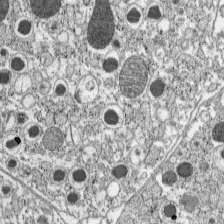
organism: C57BL Mouse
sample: Pancreatic islet